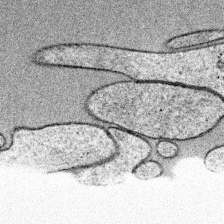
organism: Human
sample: HeLa cells